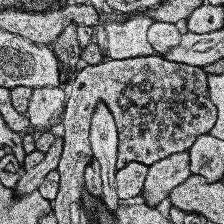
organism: Human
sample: Temporal Lobe